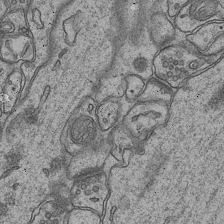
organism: Mouse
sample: CA1 Hippocampus